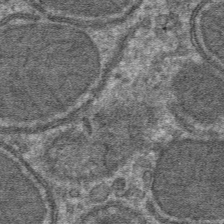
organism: Mouse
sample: Mouse hepatocytes